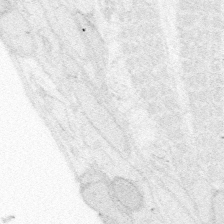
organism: Zebrafish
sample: Whole-Brain